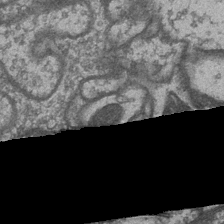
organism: Drosophila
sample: Optic medulla